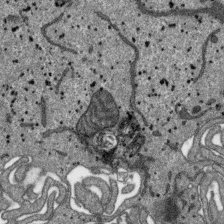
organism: Human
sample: Lung epithelial cells, uninfected (mock) control